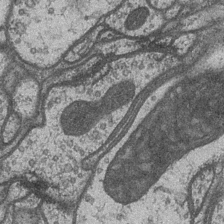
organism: Drosophila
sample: Optic medulla